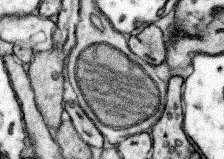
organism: Mouse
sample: Somatosensory cortex neuropil